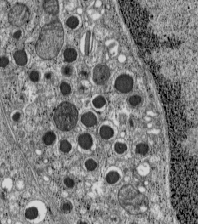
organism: C57BL Mouse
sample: Pancreatic islet